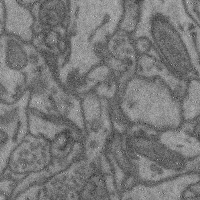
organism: Mouse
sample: Cerebral cortex